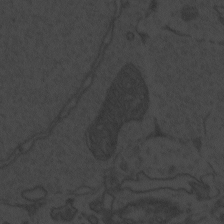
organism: Zebrafish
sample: Macrophage infected with Toxoplasma gondii